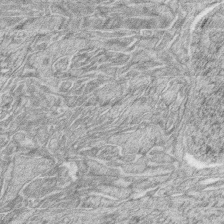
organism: Zebrafish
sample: synaptic ribbons in rod cells and cone cells